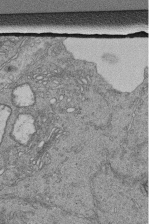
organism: Human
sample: Retinal organoid Rod and Cone cells